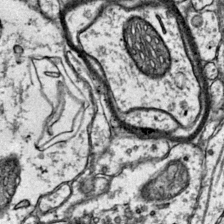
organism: Mouse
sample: Primary visual cortex